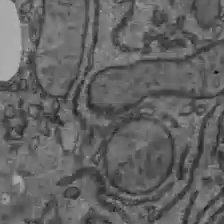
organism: C57BL Mouse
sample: Liver